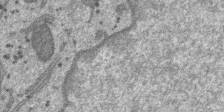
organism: Human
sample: Lung epithelial cells infected with SARS-CoV-2